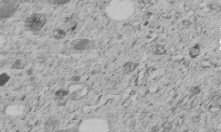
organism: C. elegans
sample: C. elegans embryo early stage